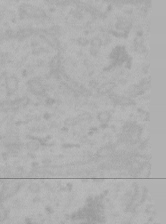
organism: Mouse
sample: Choroid plexus